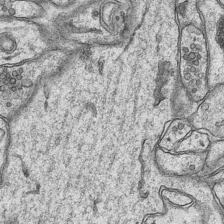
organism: Mouse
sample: CA1 Hippocampus